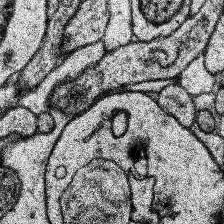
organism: Human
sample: Temporal Lobe